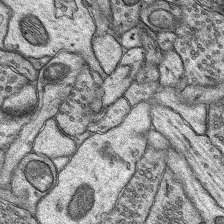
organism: Rat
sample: Hippocampus